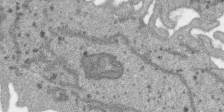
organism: Human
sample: Lung epithelial cells infected with SARS-CoV-2